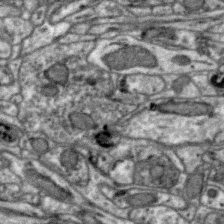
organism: Zebra finch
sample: Brain